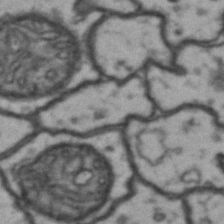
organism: Drosophila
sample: Brain